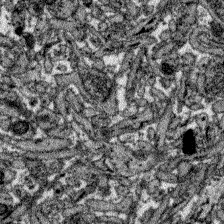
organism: Zebrafish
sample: Larval olfactory bulb